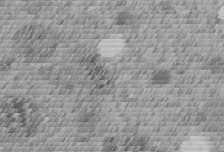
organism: C. elegans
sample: C. elegans embryo early stage